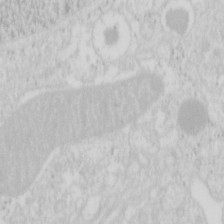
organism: Mouse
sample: Pancreas